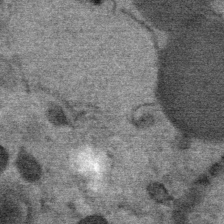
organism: Mouse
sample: Mouse Salivary gland